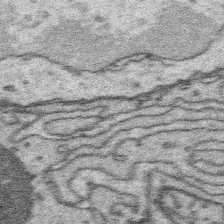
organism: Platynereis dumerilii